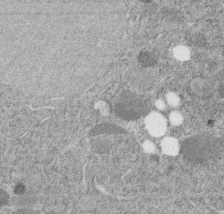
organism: C. elegans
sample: C. elegans embryo early stage